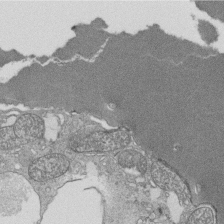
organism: Tetrahymena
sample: Cilia in tetrahymena